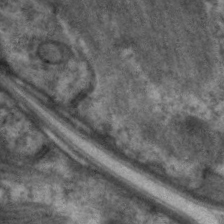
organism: C. elegans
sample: Pharynx